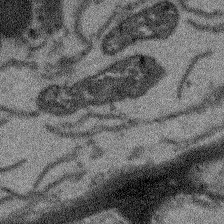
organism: Arabidopsis thaliana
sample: Root tip